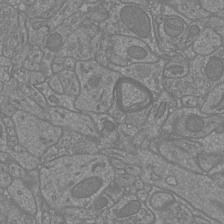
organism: Mouse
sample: Cortical neurons